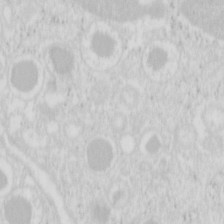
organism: Mouse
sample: Pancreas